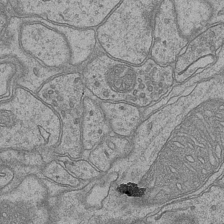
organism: Mouse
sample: CA1 Hippocampus